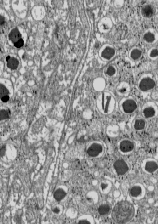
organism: C57BL Mouse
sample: Pancreatic islet